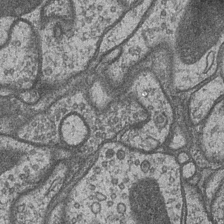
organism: Drosophila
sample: Optic medulla